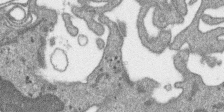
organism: Human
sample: Lung epithelial cells infected with SARS-CoV-2